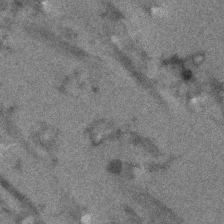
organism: Human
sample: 1205lu cells